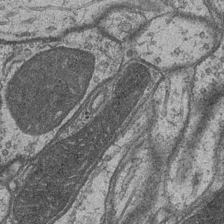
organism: Drosophila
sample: Optic medulla